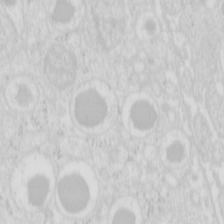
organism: Mouse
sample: Pancreas